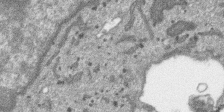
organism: Human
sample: Lung epithelial cells infected with SARS-CoV-2